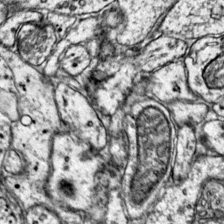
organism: Mouse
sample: Primary visual cortex